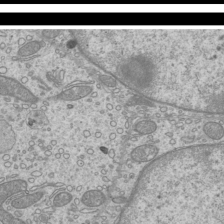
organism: Mouse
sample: Cilia; mouse epididymis